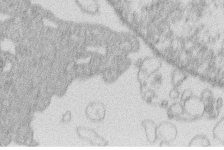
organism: Human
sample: Macrophage cells